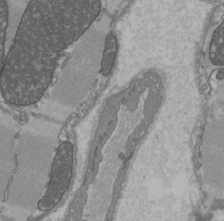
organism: C57BL Mouse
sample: Heart